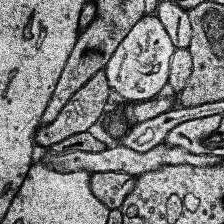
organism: Human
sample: Temporal Lobe